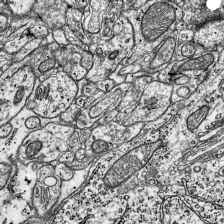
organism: Mouse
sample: Visual Cortex